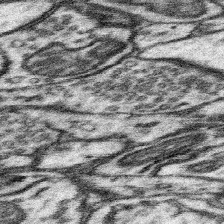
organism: Mouse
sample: Somatosensory cortex neuropil